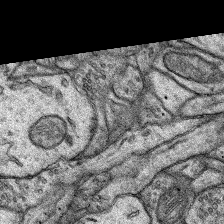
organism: Rat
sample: Hippocampus